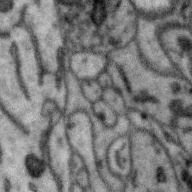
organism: Zebra finch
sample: Brain